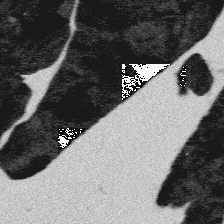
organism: Platynereis dumerilii